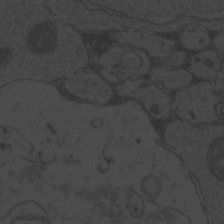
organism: Zebrafish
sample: Macrophage infected with Toxoplasma gondii